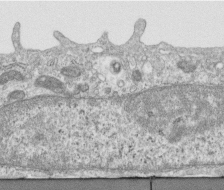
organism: Human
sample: Centriole in RPE cells